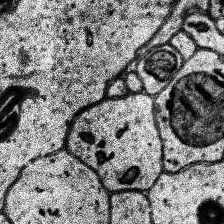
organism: Human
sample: Temporal Lobe